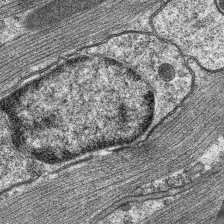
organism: C. elegans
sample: Pharynx